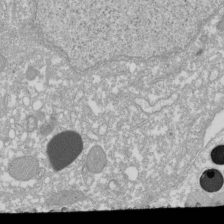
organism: Xenopus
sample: Cilia; centrioles in frog embryo cells